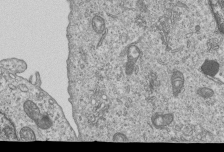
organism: Human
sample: MDA-MB-231 cells